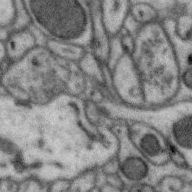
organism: Zebra finch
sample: Brain